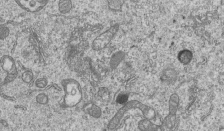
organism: Human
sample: MDA-MB-231 cells